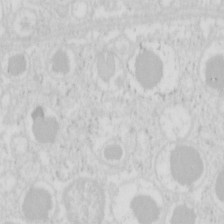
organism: Mouse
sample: Pancreas